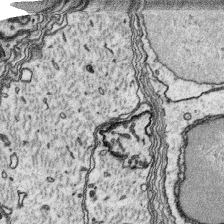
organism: Platynereis dumerilii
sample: Parapodia